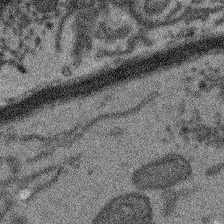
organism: Arabidopsis thaliana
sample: Root tip